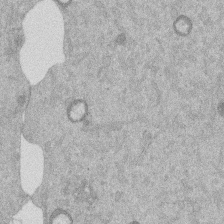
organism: Mouse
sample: Dividing mouse embryo 1 cell stage